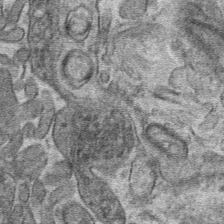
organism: Mouse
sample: Mouse hepatocytes